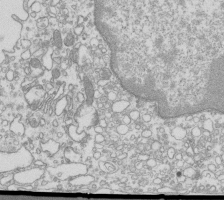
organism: Mouse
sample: Macrophages